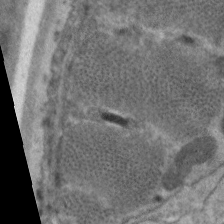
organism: C. elegans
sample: Pharynx